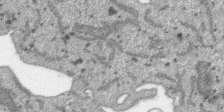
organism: Human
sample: Lung epithelial cells infected with SARS-CoV-2